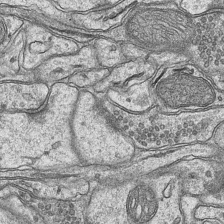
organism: Mouse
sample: CA1 Hippocampus